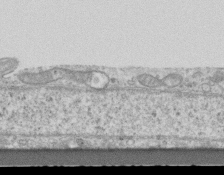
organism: Mouse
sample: Centriole in ependymal cells